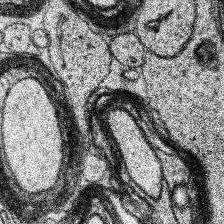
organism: Human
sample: Temporal Lobe